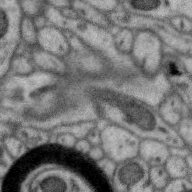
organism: Zebra finch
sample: Brain